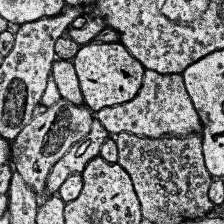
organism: Human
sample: Temporal Lobe